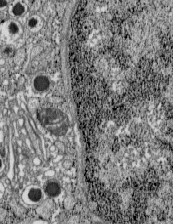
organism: C57BL Mouse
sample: Pancreatic islet